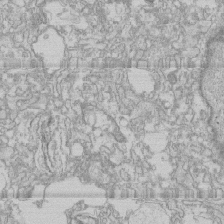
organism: Human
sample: CRL-1474